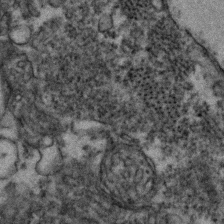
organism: Zebrafish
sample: Zebrafish embryo